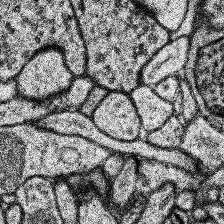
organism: Human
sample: Temporal Lobe